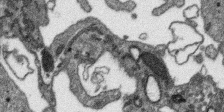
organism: Human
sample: Lung epithelial cells infected with SARS-CoV-2